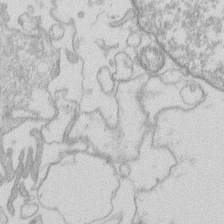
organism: Human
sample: Macrophage cells